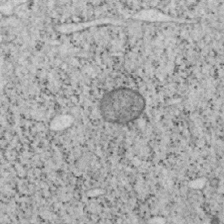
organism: Mouse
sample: OT-I killer T cells with ID8 ovarian cancer cells